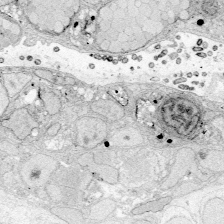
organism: Zebrafish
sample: Whole-Brain